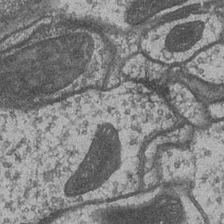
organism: Drosophila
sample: Optic medulla